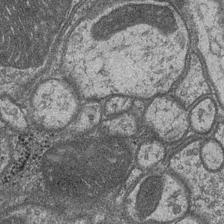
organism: Drosophila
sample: Optic medulla